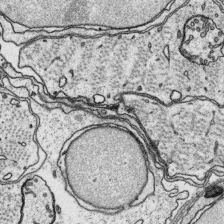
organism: Platynereis dumerilii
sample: Parapodia